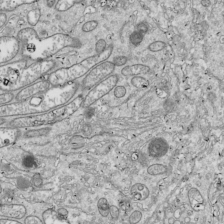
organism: Drosophila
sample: Cell division; meiosis; drosophila spermatocytes